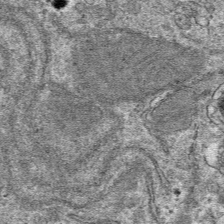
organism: Mouse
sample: Mouse hepatocytes